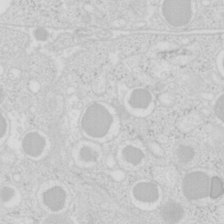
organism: Mouse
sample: Pancreas